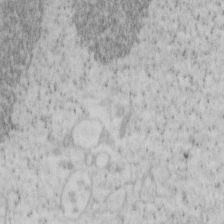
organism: Human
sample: HeLa cells